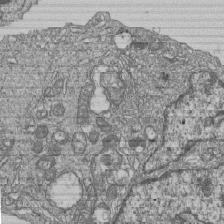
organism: Human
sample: MDA-MB-231 cells